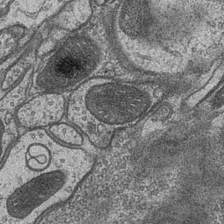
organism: Drosophila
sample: Optic medulla